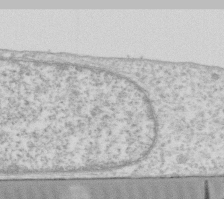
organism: Human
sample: Fibroblast cells